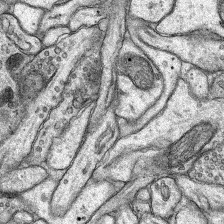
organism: Rat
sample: Hippocampus